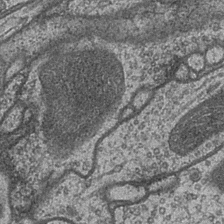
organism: Drosophila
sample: Optic medulla